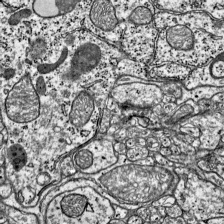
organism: Mouse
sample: Visual Cortex